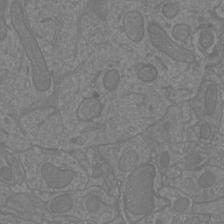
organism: Mouse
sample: Cortical neurons